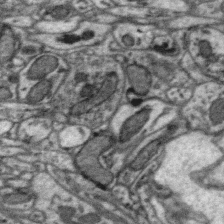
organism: Zebra finch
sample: Brain